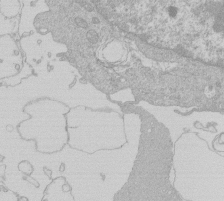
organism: Human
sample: Macrophage cells